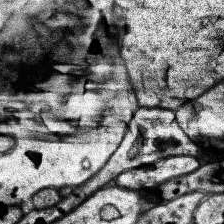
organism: Human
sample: Temporal Lobe